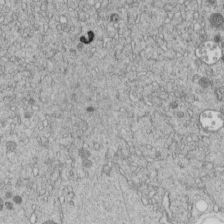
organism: C. elegans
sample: C. elegans embryo early stage